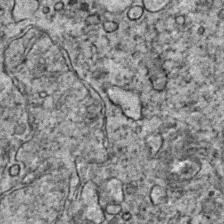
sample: Trachea